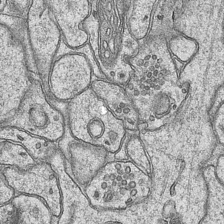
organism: Mouse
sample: CA1 Hippocampus